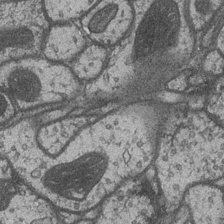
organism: Drosophila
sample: Optic medulla